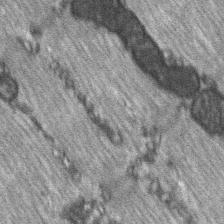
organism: C57BL Mouse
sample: Soleus